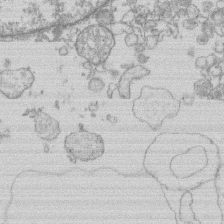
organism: Human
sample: Macrophage cells